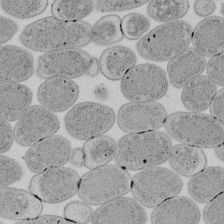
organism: E. coli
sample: Bacterial nucleoid